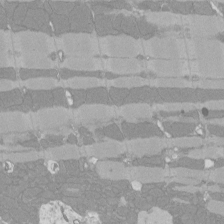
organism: Rat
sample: Left ventricle